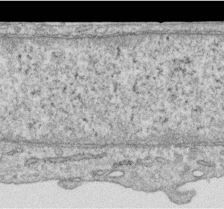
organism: Human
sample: Centriole in RPE cells